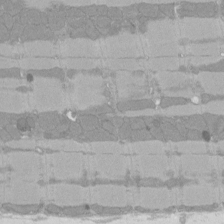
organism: Rat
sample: Left ventricle